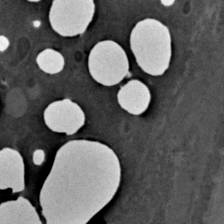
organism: C. elegans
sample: C. elegans embryo